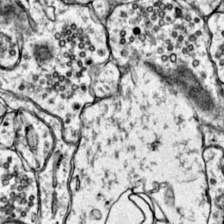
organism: Mouse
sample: Primary visual cortex